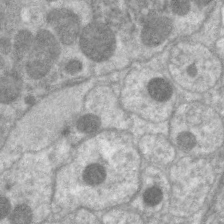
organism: C. elegans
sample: Pharynx